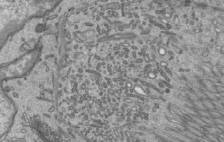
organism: Mouse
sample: Mouse epididymis efferent ductule cilia